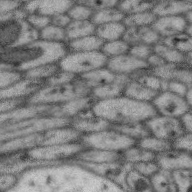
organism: Zebra finch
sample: Brain